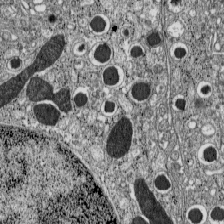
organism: C57BL Mouse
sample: Pancreatic islet